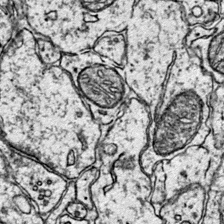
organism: Mouse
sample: Primary visual cortex